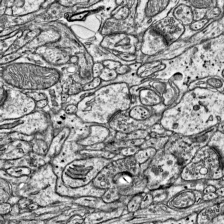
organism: Mouse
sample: Visual Cortex